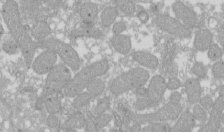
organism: Xenopus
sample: Cilia; centrioles in frog embryo cells